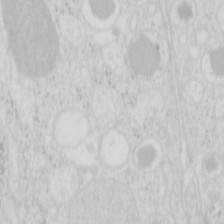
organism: Mouse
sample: Pancreas